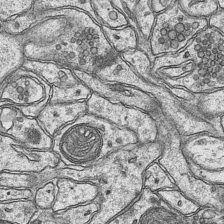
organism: Mouse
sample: CA1 Hippocampus